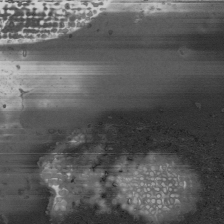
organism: Human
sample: Mitochondria in HCT116 cells